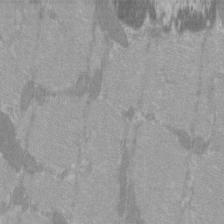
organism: C57BL Mouse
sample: Tibialis anterior muscle cell